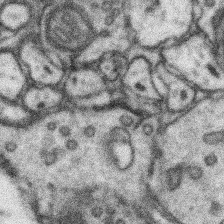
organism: Mouse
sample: Somatosensory cortex neuropil